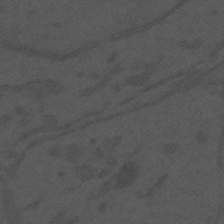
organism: Mouse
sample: Suprachiasmatic nucleus